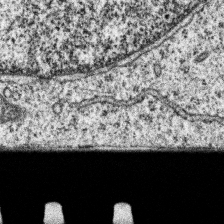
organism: Human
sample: HeLa cells